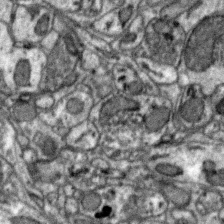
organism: Zebra finch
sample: Brain